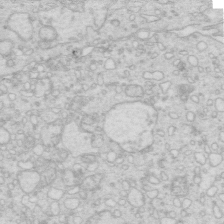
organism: Mouse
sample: Multiciliated cells